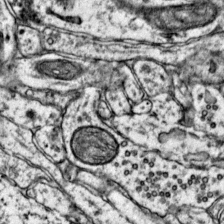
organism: Mouse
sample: Primary visual cortex